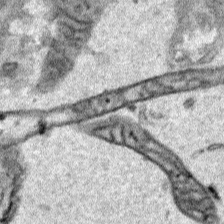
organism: Human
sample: Mitochondria in HCT116 cells